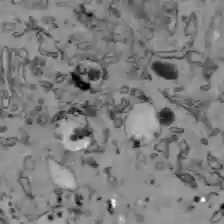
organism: C57BL Mouse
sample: Liver